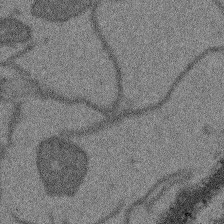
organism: Arabidopsis thaliana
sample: Root tip